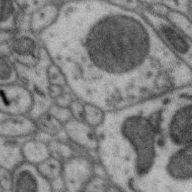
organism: Zebra finch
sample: Brain